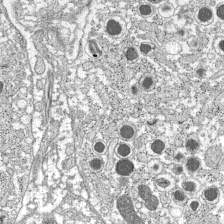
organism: C57BL Mouse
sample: Pancreatic islet